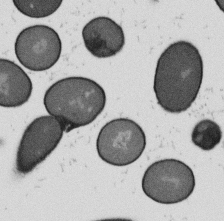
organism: B. subtilis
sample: Bacterial spore